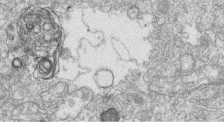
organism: Human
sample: HeLa cell HIV synapse